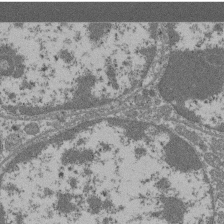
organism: Mouse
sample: Glomerulus